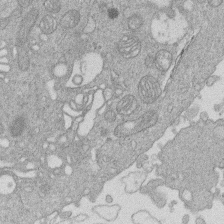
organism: Human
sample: Macrophage cells